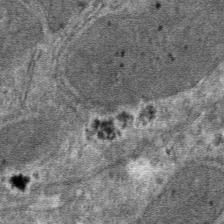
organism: Mouse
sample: Mouse hepatocytes